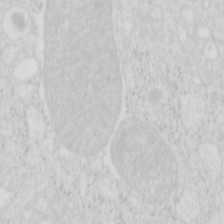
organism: Mouse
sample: Pancreas